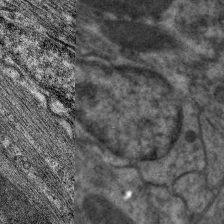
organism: C. elegans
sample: Pharynx